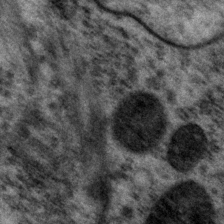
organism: P. pacificus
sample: Pharynx